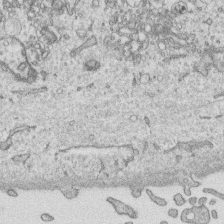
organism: Human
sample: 1205lu cells